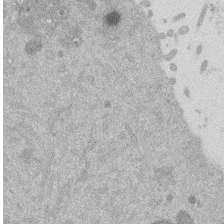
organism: Mouse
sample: Dividing mouse embryo 1 cell stage